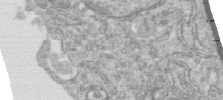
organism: Human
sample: Centriole in RPE cells